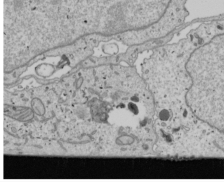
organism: Human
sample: Mitochondria in U2OS cells